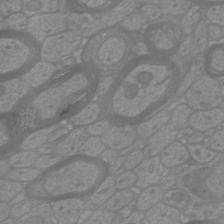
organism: Mouse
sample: Cortical neurons